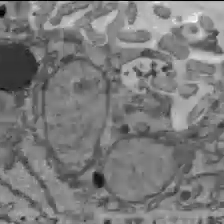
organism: C57BL Mouse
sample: Liver